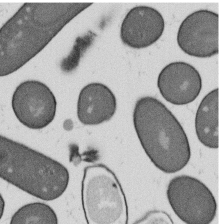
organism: B. subtilis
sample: Bacterial spore